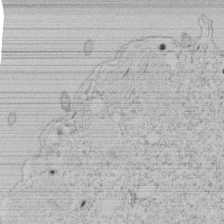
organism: Tetrahymena